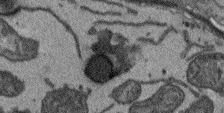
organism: Arabidopsis thaliana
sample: Root tip